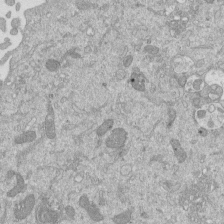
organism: Mouse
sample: ED-1 cell nuclei; centrioles